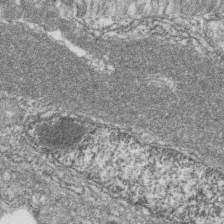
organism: Zebrafish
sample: Cilia; retinal pigment epithelium